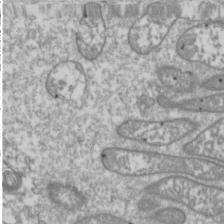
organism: Drosophila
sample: Cell division; meiosis; drosophila spermatocytes